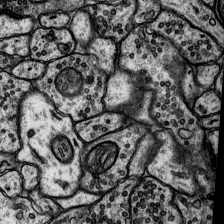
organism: Rat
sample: Hippocampus